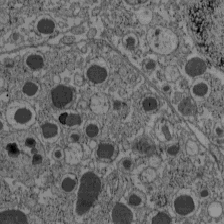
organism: C57BL Mouse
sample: Pancreatic islet